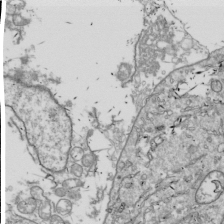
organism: Drosophila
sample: Cell division; meiosis; drosophila spermatocytes